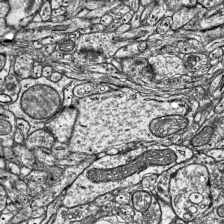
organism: Mouse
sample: Visual Cortex